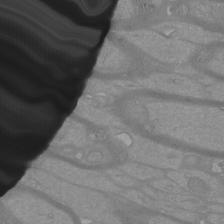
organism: Mouse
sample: Cortical neurons